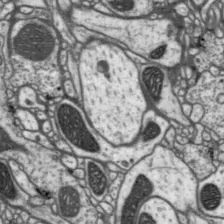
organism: Drosophila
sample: Protocerebral bridge